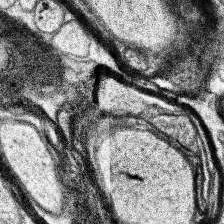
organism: Human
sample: Temporal Lobe